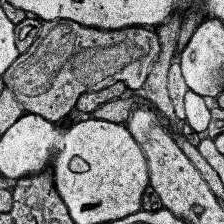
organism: Human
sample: Temporal Lobe